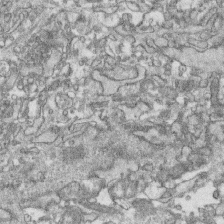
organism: Human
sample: CRL-1474